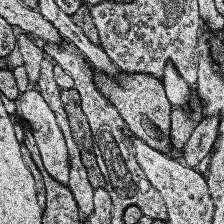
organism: Human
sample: Temporal Lobe